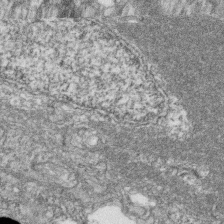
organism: Zebrafish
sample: Cilia; retinal pigment epithelium